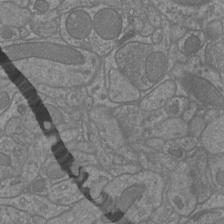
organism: Mouse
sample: Cortical neurons